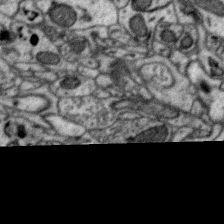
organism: Zebra finch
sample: Brain